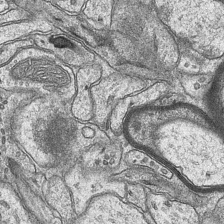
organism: Mouse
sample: CA1 Hippocampus